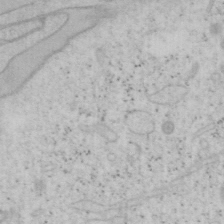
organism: Human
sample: HeLa cells